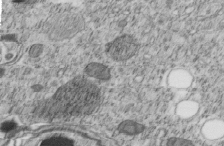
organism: C. elegans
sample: C. elegans embryo early stage